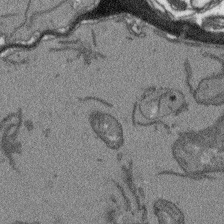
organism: Arabidopsis thaliana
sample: Root tip